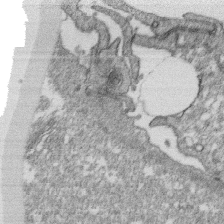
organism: African green monkey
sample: Vero E6 cells infected with SARS-CoV-2